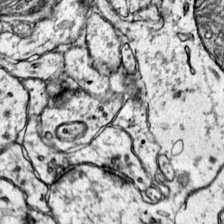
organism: Mouse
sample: Primary visual cortex